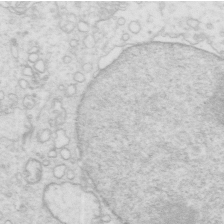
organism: Mouse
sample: Multiciliated cells